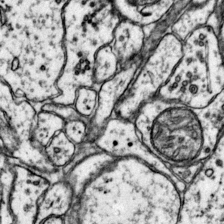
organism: Mouse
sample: Primary visual cortex